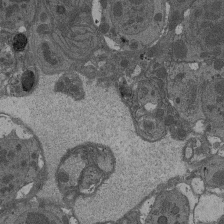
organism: Drosophila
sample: Antenna